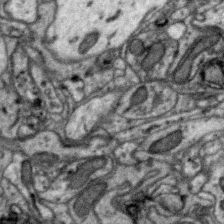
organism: Zebra finch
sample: Brain